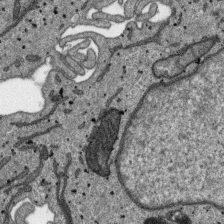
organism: Human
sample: Lung epithelial cells, uninfected (mock) control